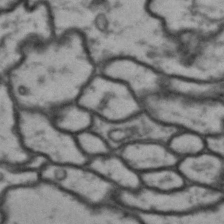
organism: Drosophila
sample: Brain